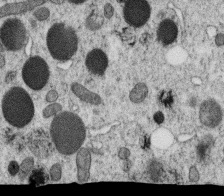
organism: C. elegans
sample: C. elegans oocyte; sperm cells